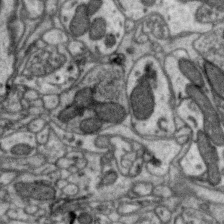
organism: Zebra finch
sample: Brain